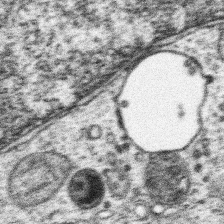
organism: Human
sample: HeLa cells